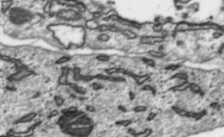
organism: Toxoplasma gondii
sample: Parasites in a vacuole inside a host cell